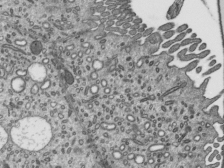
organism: Mouse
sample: Mouse epididymis efferent ductule cilia